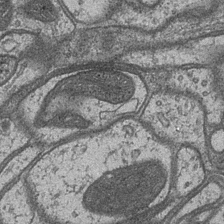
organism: Drosophila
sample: Optic medulla